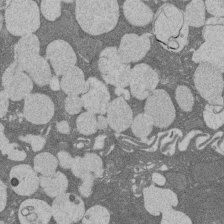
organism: Rat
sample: Salivary granule